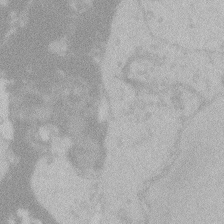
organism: Zebrafish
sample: Macrophage infected with Toxoplasma gondii